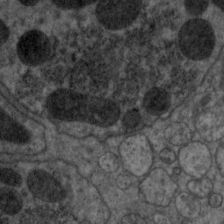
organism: C. elegans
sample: Pharynx